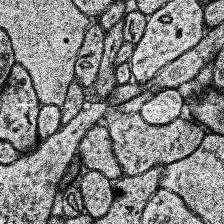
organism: Human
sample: Temporal Lobe